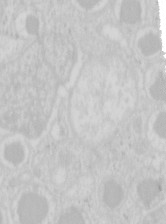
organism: Mouse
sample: Pancreas